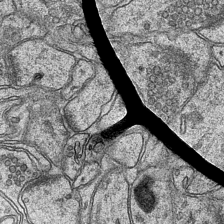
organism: Mouse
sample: CA1 Hippocampus